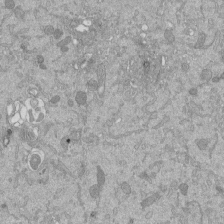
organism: Mouse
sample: ED-1 cell nuclei; centrioles